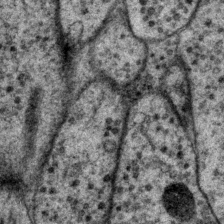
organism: P. pacificus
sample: Pharynx